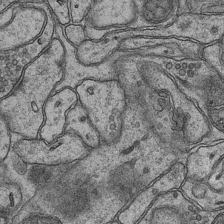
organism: Mouse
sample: CA1 Hippocampus